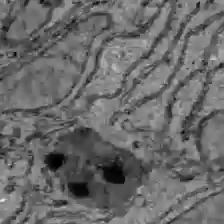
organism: C57BL Mouse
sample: Liver